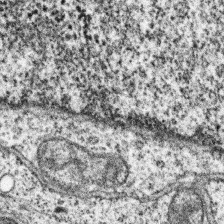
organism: Human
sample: HeLa cells